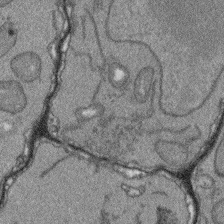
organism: Arabidopsis thaliana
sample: Root tip